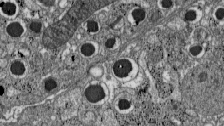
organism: C57BL Mouse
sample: Pancreatic islet